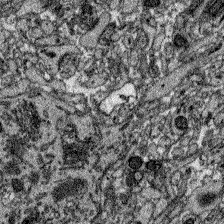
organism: Zebrafish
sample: Larval olfactory bulb